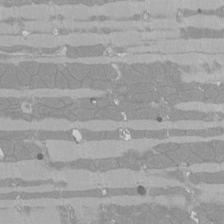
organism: Rat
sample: Left ventricle